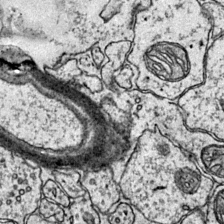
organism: Mouse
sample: Primary visual cortex